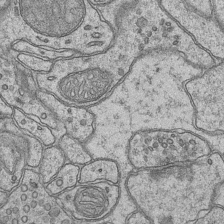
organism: Mouse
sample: CA1 Hippocampus